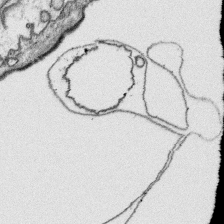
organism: Platynereis dumerilii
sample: Parapodia